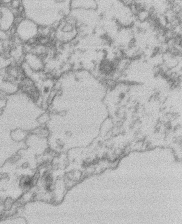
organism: Mouse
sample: T cell stromal cell synapse